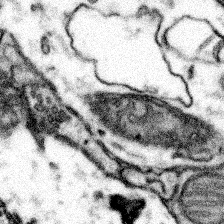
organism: Mouse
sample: Somatosensory cortex neuropil